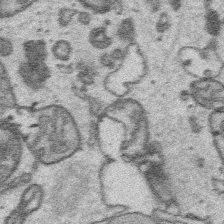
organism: Platynereis dumerilii